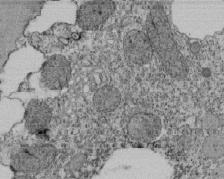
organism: Tetrahymena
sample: Cilia in tetrahymena